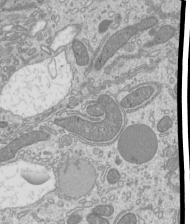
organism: Mouse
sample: Cilia; mouse epididymis